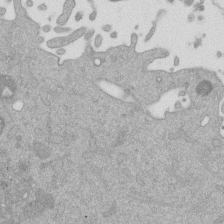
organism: Mouse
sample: Dividing mouse embryo 1 cell stage